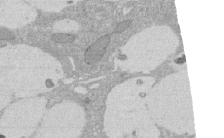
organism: Rat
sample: Salivary granule